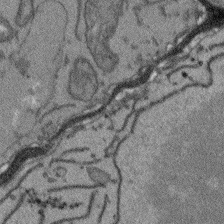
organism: Arabidopsis thaliana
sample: Root tip